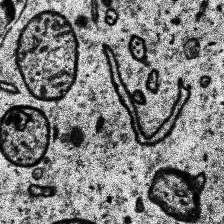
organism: Human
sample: Temporal Lobe